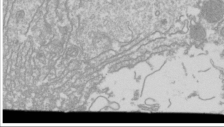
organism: Drosophila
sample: Cell division; meiosis; drosophila spermatocytes